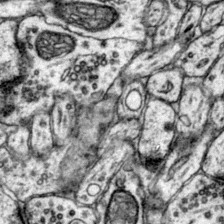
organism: Mouse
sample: Primary visual cortex